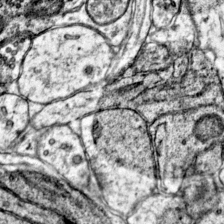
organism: Mouse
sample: Primary visual cortex